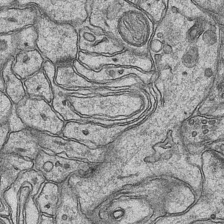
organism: Mouse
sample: CA1 Hippocampus